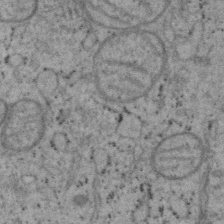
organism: Human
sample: HeLa cells